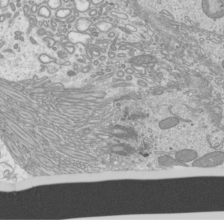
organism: Mouse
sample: Cilia; mouse epididymis